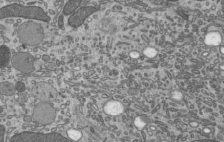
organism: Mouse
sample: Mouse epididymis efferent ductule cilia